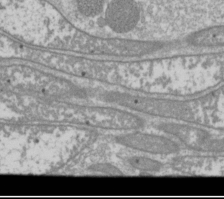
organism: Drosophila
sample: Cell division; meiosis; drosophila spermatocytes